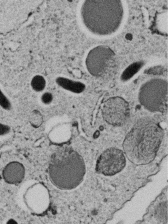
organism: C. elegans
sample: C. elegans embryo early stage